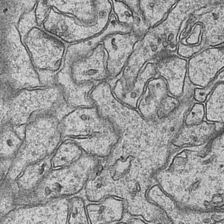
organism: Mouse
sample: CA1 Hippocampus